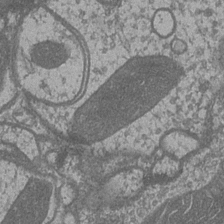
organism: Drosophila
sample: Optic medulla